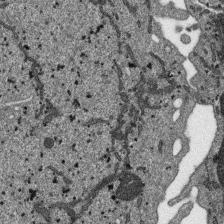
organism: Human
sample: Lung epithelial cells infected with SARS-CoV-2